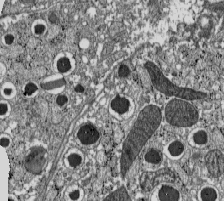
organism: C57BL Mouse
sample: Pancreatic islet